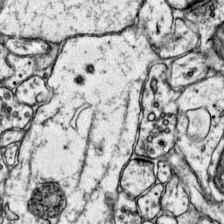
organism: Mouse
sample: Primary visual cortex